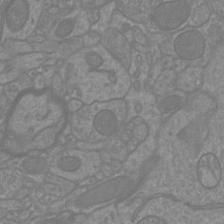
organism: Mouse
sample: Cortical neurons